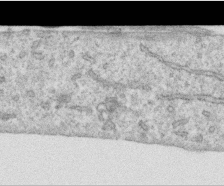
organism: Human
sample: Centriole in RPE cells